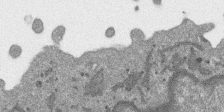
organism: Human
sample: Lung epithelial cells infected with SARS-CoV-2